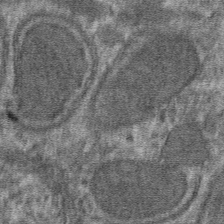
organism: Mouse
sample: Mouse hepatocytes